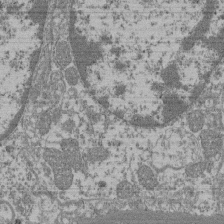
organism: Mouse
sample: Glomerulus